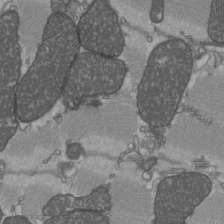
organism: C57BL Mouse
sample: Heart